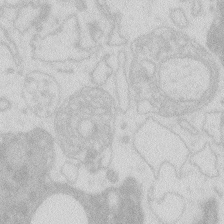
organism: Zebrafish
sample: Macrophage